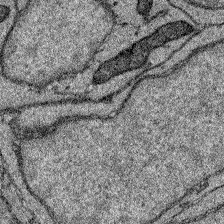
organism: Zebrafish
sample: Larval olfactory bulb